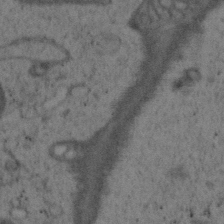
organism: Human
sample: HeLa cells